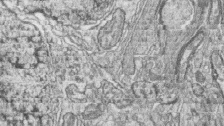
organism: Zebrafish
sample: synaptic ribbons in rod cells and cone cells